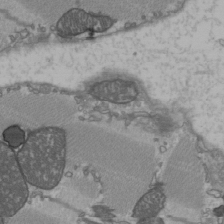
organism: C57BL Mouse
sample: Heart